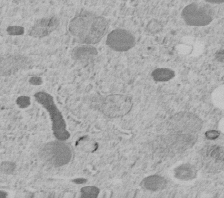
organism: C. elegans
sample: C. elegans embryo early stage